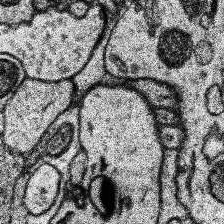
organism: Human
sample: Temporal Lobe